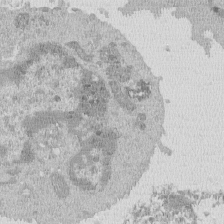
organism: Mouse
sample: Activated Pmel transgenic CD8+ T Cells